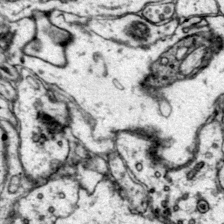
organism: Mouse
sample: Primary visual cortex